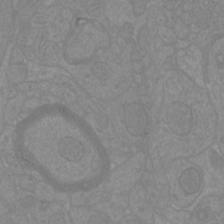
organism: Mouse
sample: Cortical neurons